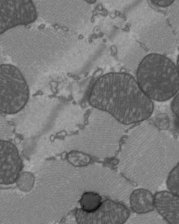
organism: C57BL Mouse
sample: Heart